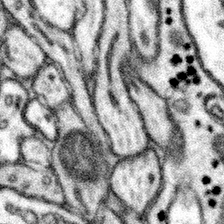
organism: Mouse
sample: Somatosensory cortex neuropil